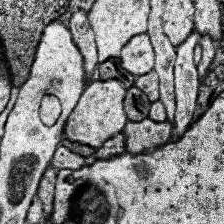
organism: Human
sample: Temporal Lobe